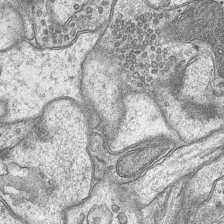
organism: Mouse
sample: CA1 Hippocampus